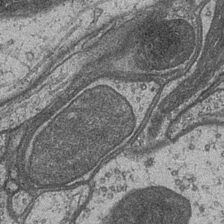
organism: Drosophila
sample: Optic medulla